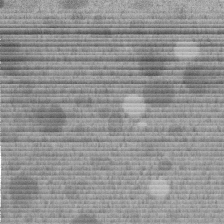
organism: C. elegans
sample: C. elegans embryo early stage